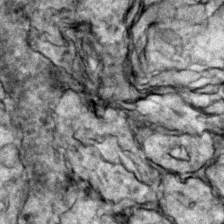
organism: Zebrafish